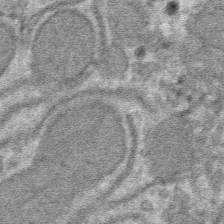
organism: Mouse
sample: Mouse hepatocytes